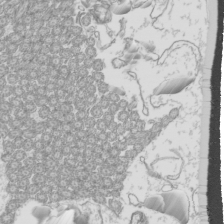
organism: Mouse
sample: Cilia; mouse epididymis